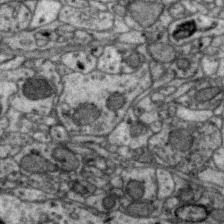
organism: Zebra finch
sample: Brain